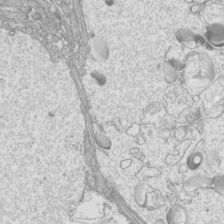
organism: Mouse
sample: Cilia; mouse epididymis